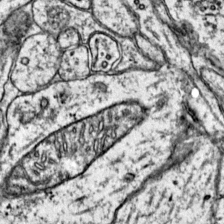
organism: Mouse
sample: Primary visual cortex